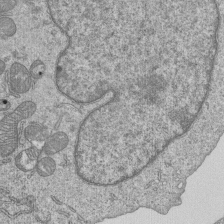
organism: Human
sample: MDA-MB-231 cells